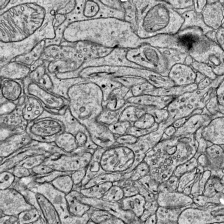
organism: Mouse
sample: Visual Cortex